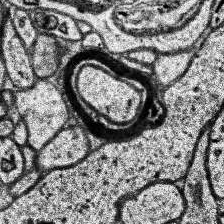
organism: Human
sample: Temporal Lobe